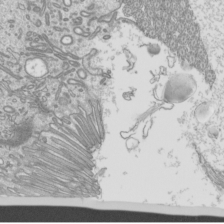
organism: Mouse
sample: Cilia; mouse epididymis